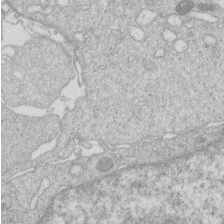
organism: Human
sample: Macrophage cells